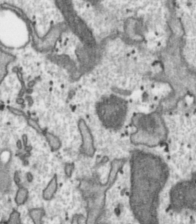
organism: Toxoplasma gondii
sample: Parasites in a vacuole inside a host cell